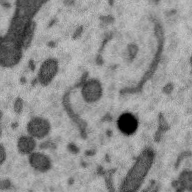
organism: Zebra finch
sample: Brain